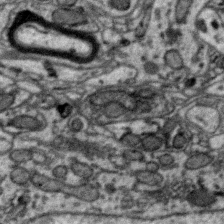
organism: Zebra finch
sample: Brain